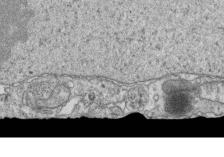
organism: Human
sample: HeLa cell HIV synapse